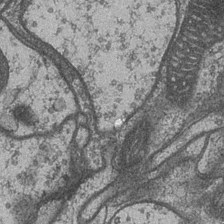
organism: Drosophila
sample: Optic medulla